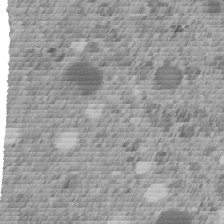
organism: C. elegans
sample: C. elegans embryo early stage